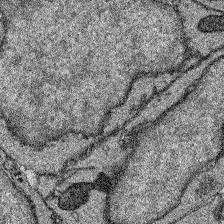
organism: Zebrafish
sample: Larval olfactory bulb